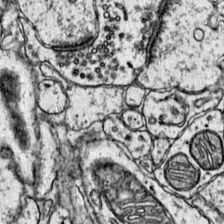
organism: Mouse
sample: Primary visual cortex